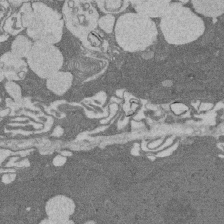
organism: Rat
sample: Salivary granule